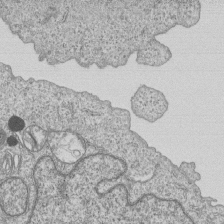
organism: Human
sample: MDA-MB-231 cells